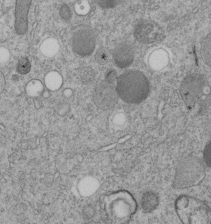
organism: C. elegans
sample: C. elegans embryo early stage